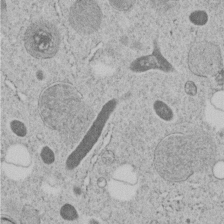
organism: C. elegans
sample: C. elegans embryo early stage